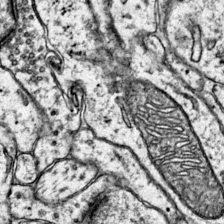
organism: Mouse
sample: Primary visual cortex